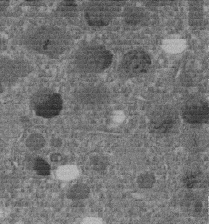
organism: C. elegans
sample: C. elegans embryo early stage